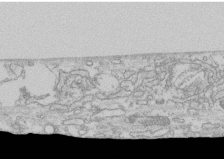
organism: Human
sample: CRL-1474